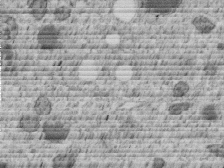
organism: C. elegans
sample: C. elegans embryo early stage